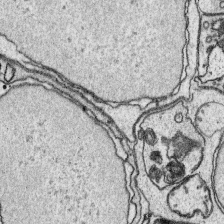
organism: Platynereis dumerilii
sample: Parapodia